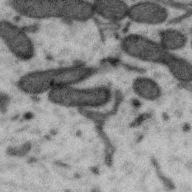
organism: Zebra finch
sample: Brain